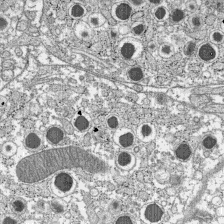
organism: C57BL Mouse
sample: Pancreatic islet